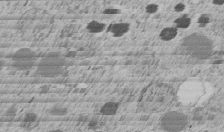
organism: C. elegans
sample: C. elegans embryo early stage